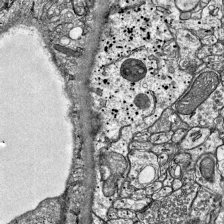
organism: Mouse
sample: Visual Cortex